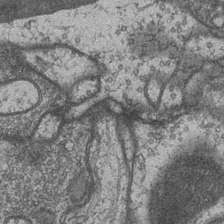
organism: Drosophila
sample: Optic medulla